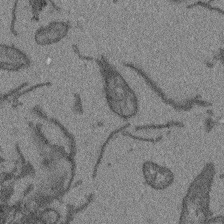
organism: Arabidopsis thaliana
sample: Root tip